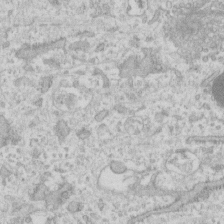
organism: Human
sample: Fibroblast cells